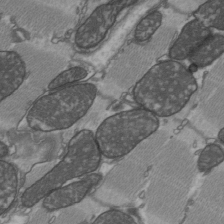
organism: C57BL Mouse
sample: Heart